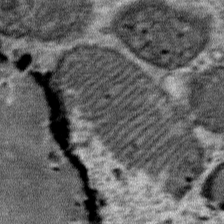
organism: Mouse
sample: Mouse Salivary gland